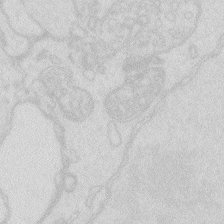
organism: Zebrafish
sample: Macrophage